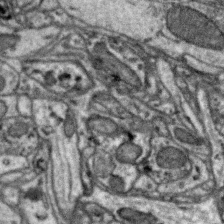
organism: Zebra finch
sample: Brain